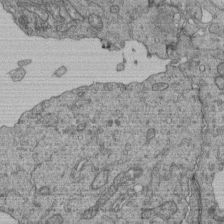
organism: Human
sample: Retinal organoid Rod and Cone cells